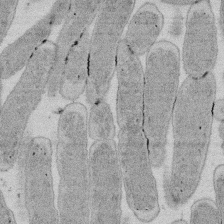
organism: E. coli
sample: Bacterial nucleoid